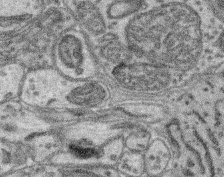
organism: Mouse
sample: Retina